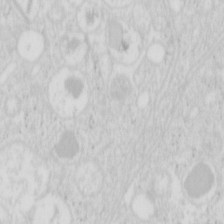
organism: Mouse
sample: Pancreas